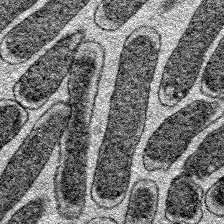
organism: E. coli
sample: E. Coli Bacteria